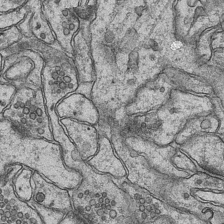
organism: Mouse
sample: CA1 Hippocampus